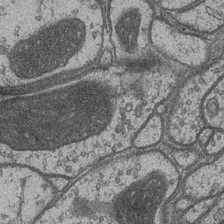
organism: Drosophila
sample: Optic medulla